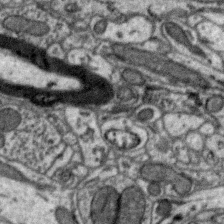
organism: Zebra finch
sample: Brain